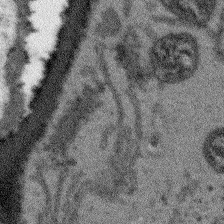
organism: Arabidopsis thaliana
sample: Root tip